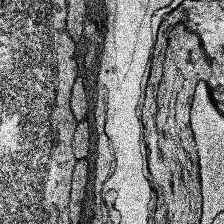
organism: Human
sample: Temporal Lobe